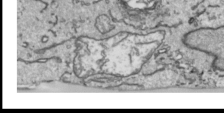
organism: Human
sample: Mitochondria in HCT116 cells